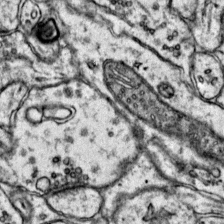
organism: Mouse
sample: Primary visual cortex